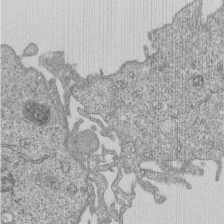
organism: Human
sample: MDA-MB-231 cells